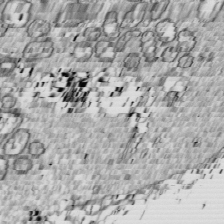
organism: Drosophila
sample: Cell division; meiosis; drosophila spermatocytes